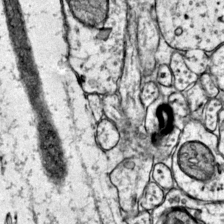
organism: Mouse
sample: Primary visual cortex